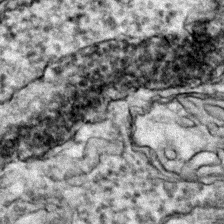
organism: Zebrafish